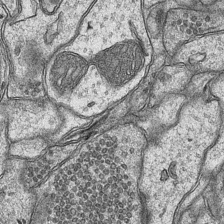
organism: Mouse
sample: CA1 Hippocampus